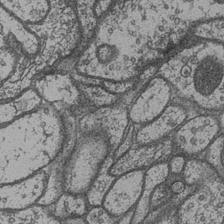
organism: Drosophila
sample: Optic medulla